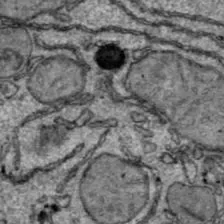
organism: C57BL Mouse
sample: Liver